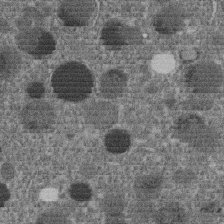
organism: C. elegans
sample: C. elegans embryo early stage